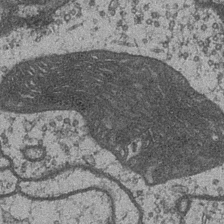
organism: Drosophila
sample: Optic medulla